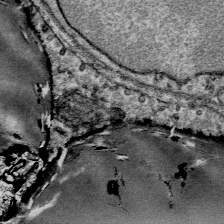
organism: Mouse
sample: Mouse Salivary gland